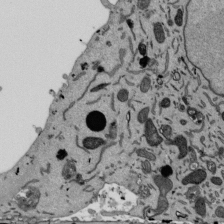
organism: Mouse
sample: ED-1 cell nuclei; centrioles